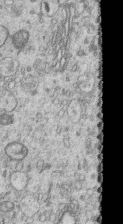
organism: Human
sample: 1205lu cells